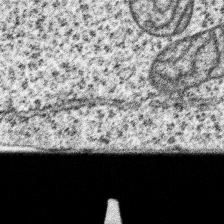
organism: Human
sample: HeLa cells